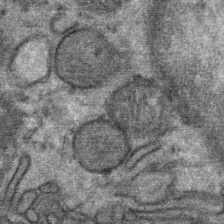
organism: Mouse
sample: Mouse Salivary gland